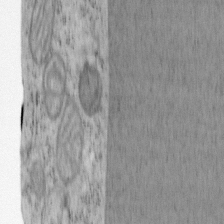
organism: Human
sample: HeLa cells